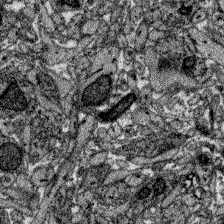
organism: Zebrafish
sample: Larval olfactory bulb